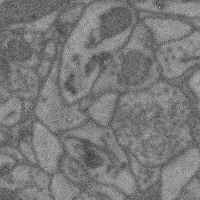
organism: Mouse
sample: Cerebral cortex